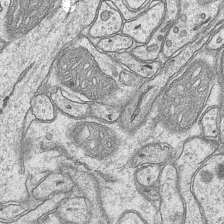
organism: Mouse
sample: CA1 Hippocampus